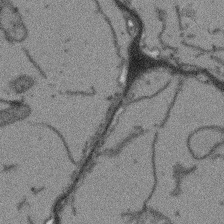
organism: Arabidopsis thaliana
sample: Root tip